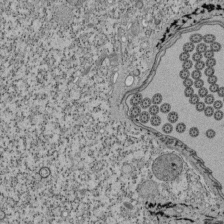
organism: Tetrahymena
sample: Cilia in tetrahymena